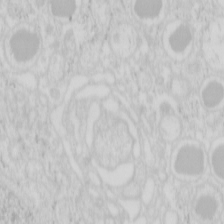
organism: Mouse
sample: Pancreas